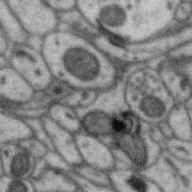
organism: Zebra finch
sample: Brain